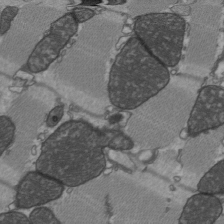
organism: C57BL Mouse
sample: Heart